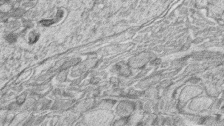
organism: Zebrafish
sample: synaptic ribbons in rod cells and cone cells